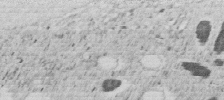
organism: C. elegans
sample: C. elegans embryo early stage